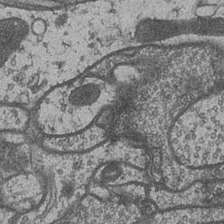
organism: Drosophila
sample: Optic medulla